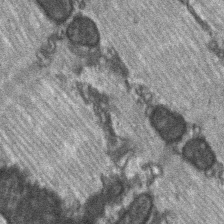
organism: C57BL Mouse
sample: Soleus